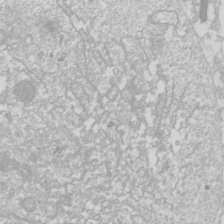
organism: Drosophila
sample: Cell division; meiosis; drosophila spermatocytes